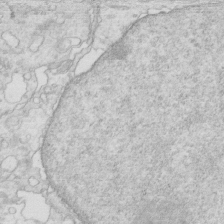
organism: Mouse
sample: Multiciliated cells